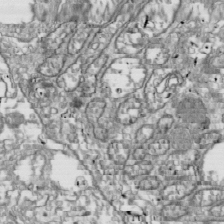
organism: Drosophila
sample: Cell division; meiosis; drosophila spermatocytes